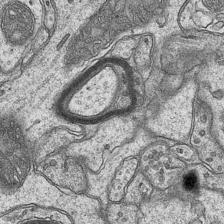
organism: Mouse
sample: CA1 Hippocampus